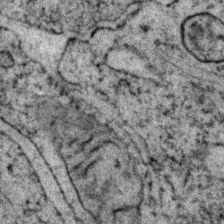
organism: Zebrafish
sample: Zebrafish embryo